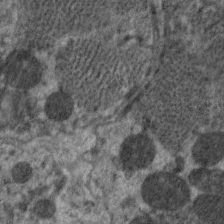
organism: C. elegans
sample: Pharynx